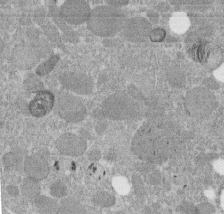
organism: C. elegans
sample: C. elegans embryo early stage